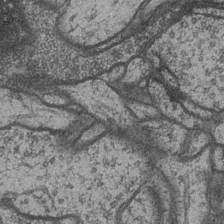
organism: Drosophila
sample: Optic medulla